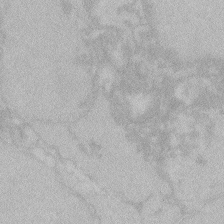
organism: Zebrafish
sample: Macrophage infected with Toxoplasma gondii